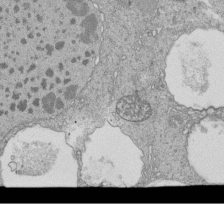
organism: Tetrahymena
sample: Cilia in tetrahymena